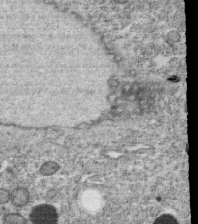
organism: C. elegans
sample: C. elegans oocyte; sperm cells